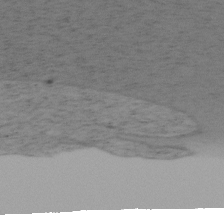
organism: Mouse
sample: OT-I killer T cells with ID8 ovarian cancer cells